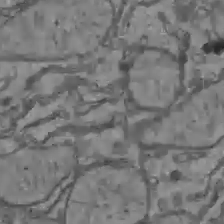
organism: C57BL Mouse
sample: Liver